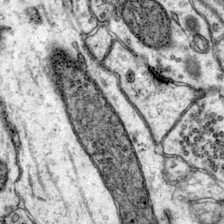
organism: Mouse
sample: Primary visual cortex